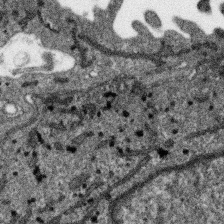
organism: Human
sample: Lung epithelial cells infected with SARS-CoV-2